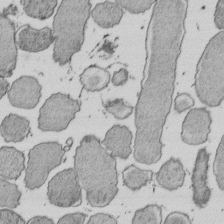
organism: E. coli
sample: Bacterial nucleoid